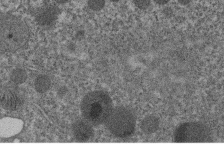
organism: C. elegans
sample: C. elegans embryo early stage